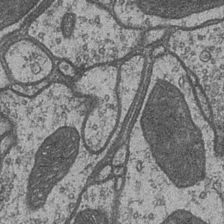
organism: Drosophila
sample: Optic medulla